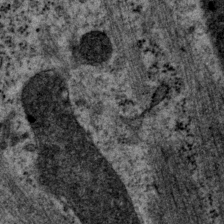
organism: P. pacificus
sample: Pharynx